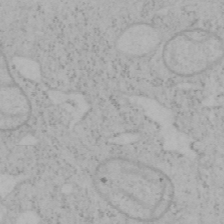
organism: Mouse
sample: OT-I killer T cells with ID8 ovarian cancer cells